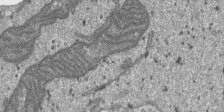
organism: Human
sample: Lung epithelial cells infected with SARS-CoV-2